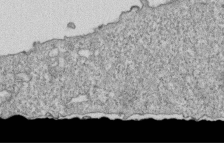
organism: Human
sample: HeLa cell HIV synapse